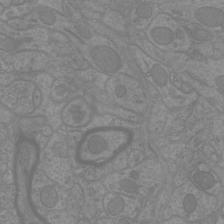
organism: Mouse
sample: Cortical neurons